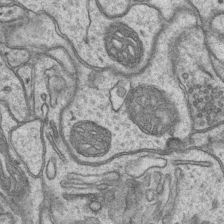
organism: Mouse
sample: CA1 Hippocampus